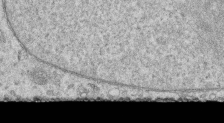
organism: Human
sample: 1205lu cells